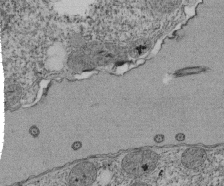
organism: Tetrahymena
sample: Cilia in tetrahymena